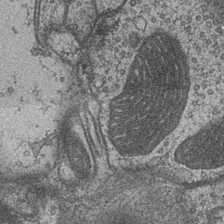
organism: Drosophila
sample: Optic medulla